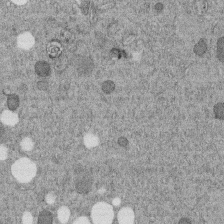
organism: C. elegans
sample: C. elegans embryo early stage